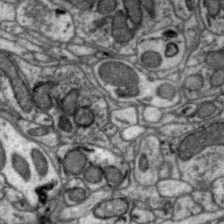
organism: Zebra finch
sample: Brain